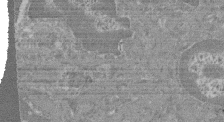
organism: Mouse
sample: Glomerulus